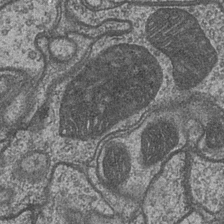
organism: Drosophila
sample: Optic medulla